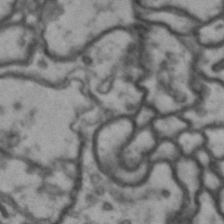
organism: Drosophila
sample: Brain